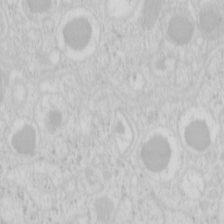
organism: Mouse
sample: Pancreas